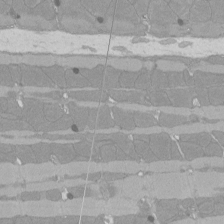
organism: Rat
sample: Left ventricle